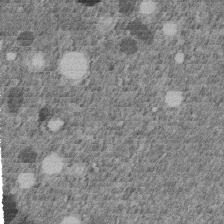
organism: C. elegans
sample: C. elegans embryo early stage